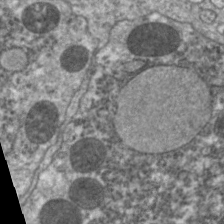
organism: C. elegans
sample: Pharynx